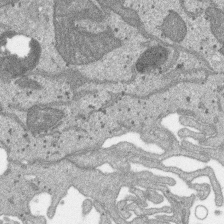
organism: Human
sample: Lung epithelial cells infected with SARS-CoV-2